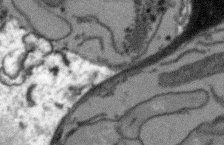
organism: Arabidopsis thaliana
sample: Root tip